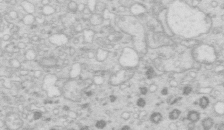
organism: Mouse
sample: Multiciliated cells